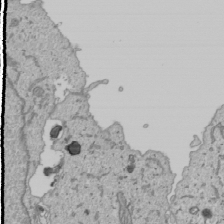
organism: Human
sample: Mitochondria in U2OS cells